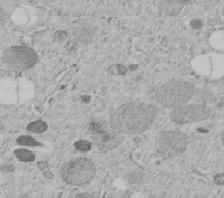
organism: C. elegans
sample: C. elegans embryo early stage